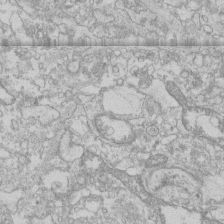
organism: Human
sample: CRL-1474